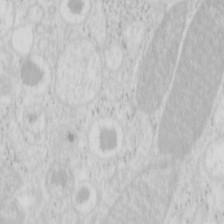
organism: Mouse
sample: Pancreas